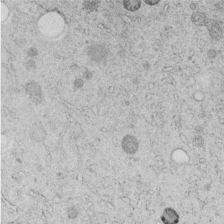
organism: C. elegans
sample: C. elegans embryo early stage